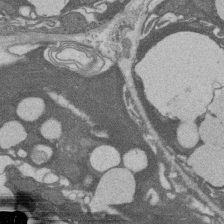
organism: Rat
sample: Salivary granule